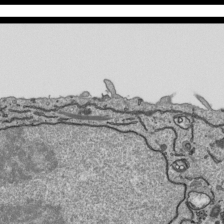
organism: Human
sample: Mitochondria in HCT116 cells